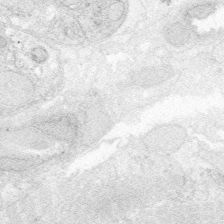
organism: Zebrafish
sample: Whole-Brain